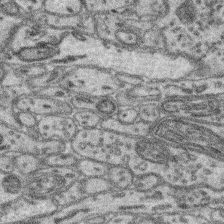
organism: Mouse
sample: Retina